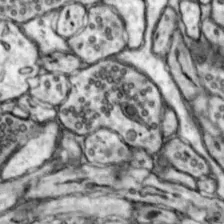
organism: Mouse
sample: Nucleus accumbens